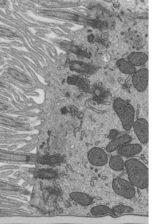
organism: Mouse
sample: Mouse epididymis efferent ductule cilia